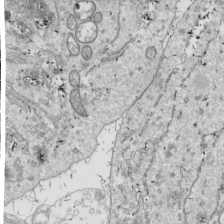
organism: Drosophila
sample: Cell division; meiosis; drosophila spermatocytes